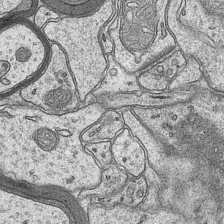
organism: Mouse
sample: CA1 Hippocampus